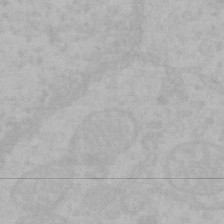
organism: Mouse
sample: Choroid plexus